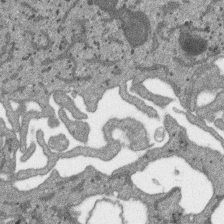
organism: Human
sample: Lung epithelial cells infected with SARS-CoV-2